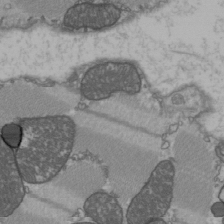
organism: C57BL Mouse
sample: Heart